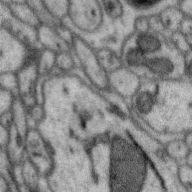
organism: Zebra finch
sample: Brain